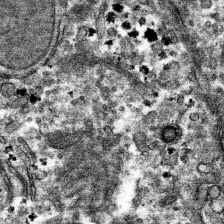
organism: Mouse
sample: Mouse hepatocytes